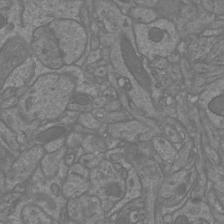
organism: Mouse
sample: Cortical neurons